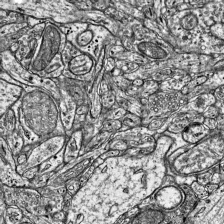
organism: Mouse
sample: Visual Cortex